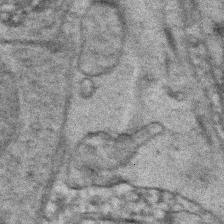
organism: Zebrafish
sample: Zebrafish embryo